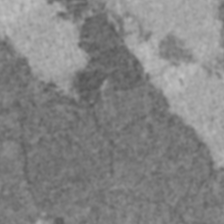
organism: C57BL Mouse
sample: Heart